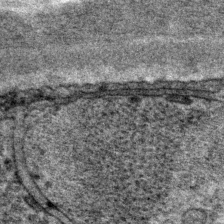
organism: P. pacificus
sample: Pharynx